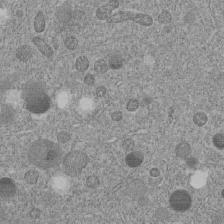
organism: C. elegans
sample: C. elegans embryo early stage